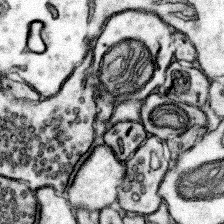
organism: Mouse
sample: Somatosensory cortex neuropil